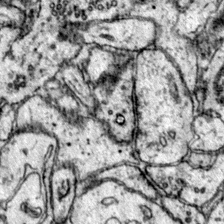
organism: Mouse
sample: Primary visual cortex